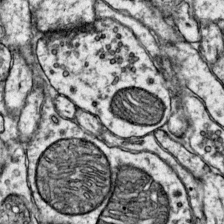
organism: Mouse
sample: Primary visual cortex